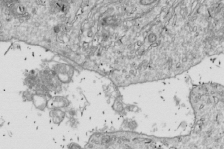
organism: Drosophila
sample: Cell division; meiosis; drosophila spermatocytes